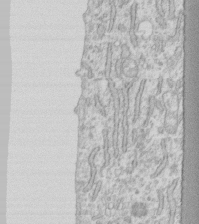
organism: Human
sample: Fibroblast cells